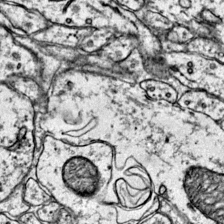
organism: Mouse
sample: Primary visual cortex